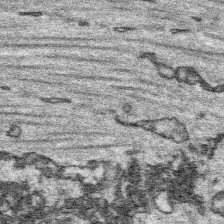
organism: Platynereis dumerilii